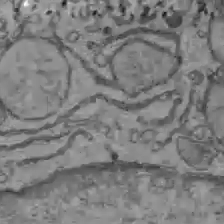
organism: C57BL Mouse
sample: Liver